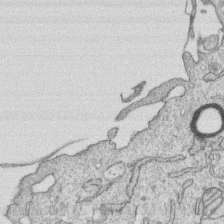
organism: Human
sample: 1205lu cells